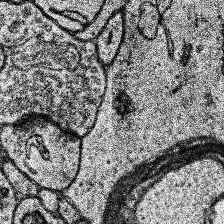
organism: Human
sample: Temporal Lobe